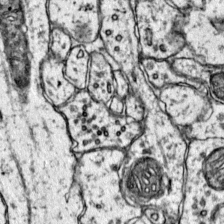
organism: Mouse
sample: Primary visual cortex